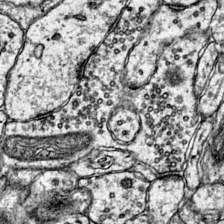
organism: Mouse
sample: Primary visual cortex